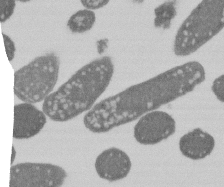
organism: E. coli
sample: Bacterial nucleoid